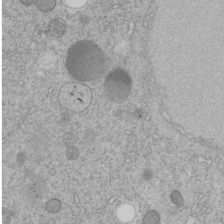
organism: C. elegans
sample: C. elegans embryo early stage